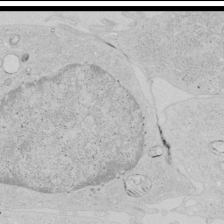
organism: Human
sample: Mitochondria in HCT116 cells